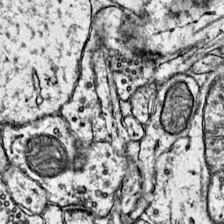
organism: Mouse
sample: Primary visual cortex